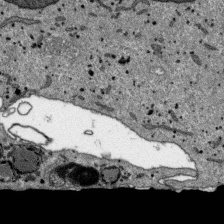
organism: Human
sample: Lung epithelial cells, uninfected (mock) control